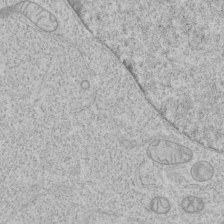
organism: Human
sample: Mitochondria in HCT116 cells